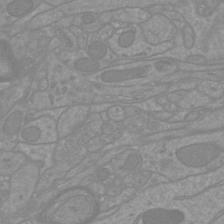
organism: Mouse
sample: Cortical neurons